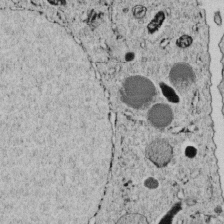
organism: C. elegans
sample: C. elegans embryo early stage